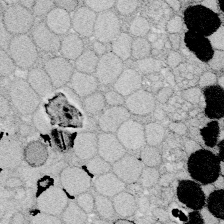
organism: Zebrafish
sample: Whole-Brain